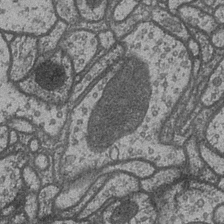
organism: Drosophila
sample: Optic medulla